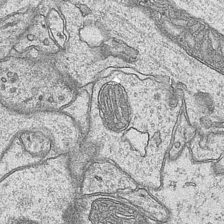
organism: Mouse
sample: CA1 Hippocampus